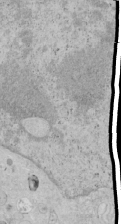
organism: Human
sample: Mitochondria in HCT116 cells